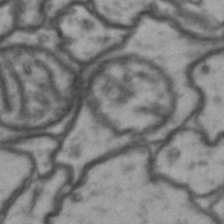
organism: Drosophila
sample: Brain